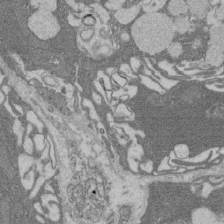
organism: Rat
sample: Salivary granule